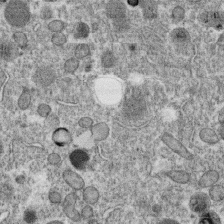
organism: C. elegans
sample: C. elegans oocyte; sperm cells